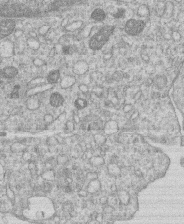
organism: Human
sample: Macrophage cells